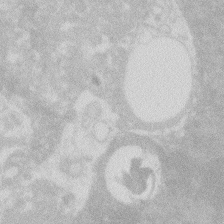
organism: Zebrafish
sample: Macrophage